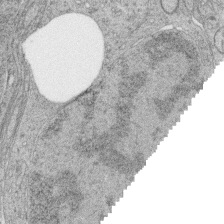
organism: Zebrafish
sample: synaptic ribbons in rod cells and cone cells